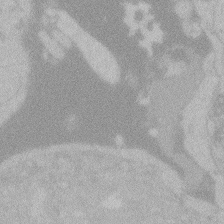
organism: Zebrafish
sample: Macrophage infected with Toxoplasma gondii